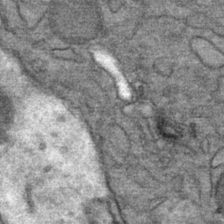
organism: Mouse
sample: Mouse Salivary gland